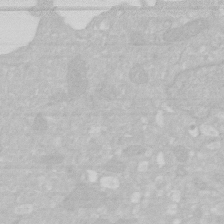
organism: Human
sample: HIV infected U937 cells